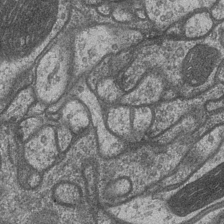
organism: Drosophila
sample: Optic medulla